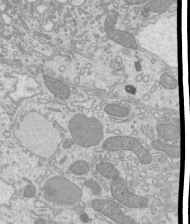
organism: Mouse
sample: Cilia; mouse epididymis